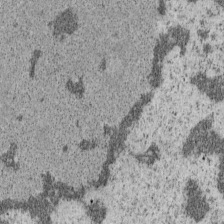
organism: Mouse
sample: OT-I killer T cells with ID8 ovarian cancer cells